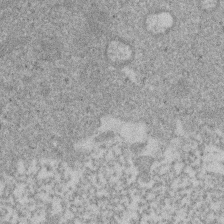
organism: Mouse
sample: Dividing mouse embryo 1 cell stage